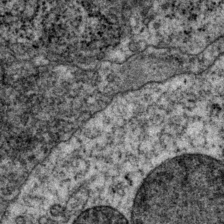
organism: P. pacificus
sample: Pharynx